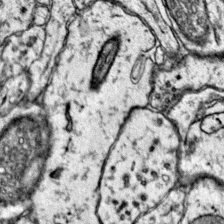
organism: Mouse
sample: Primary visual cortex